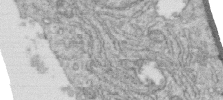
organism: Human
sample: Centriole in RPE cells